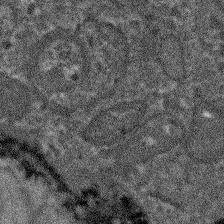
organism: Arabidopsis thaliana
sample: Root tip